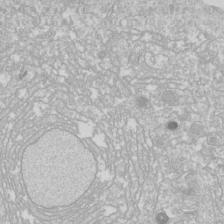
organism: Drosophila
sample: Cell division; meiosis; drosophila spermatocytes